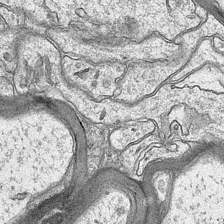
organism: Mouse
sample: CA1 Hippocampus